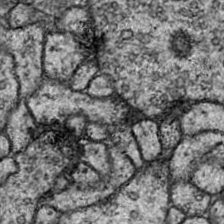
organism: Drosophila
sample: Ventral Nerve Cord